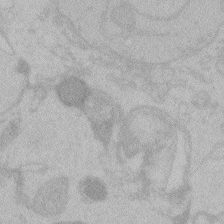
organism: Zebrafish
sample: Macrophage infected with Toxoplasma gondii